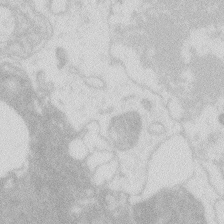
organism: Zebrafish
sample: Macrophage